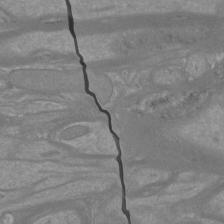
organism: Mouse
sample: Cortical neurons